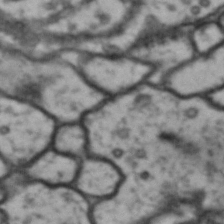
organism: Drosophila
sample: Brain